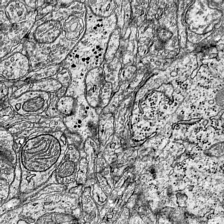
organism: Mouse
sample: Visual Cortex